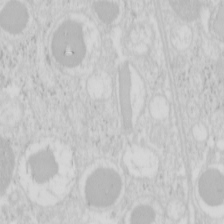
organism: Mouse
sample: Pancreas